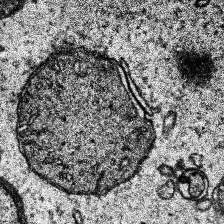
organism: Human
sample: Temporal Lobe